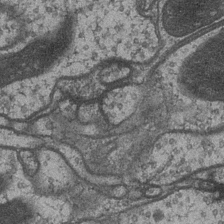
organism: Drosophila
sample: Optic medulla